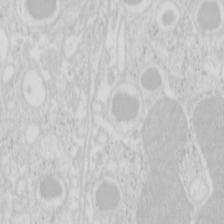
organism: Mouse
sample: Pancreas